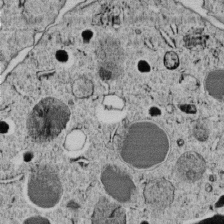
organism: C. elegans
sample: C. elegans embryo early stage